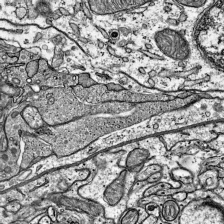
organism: Mouse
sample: Visual Cortex